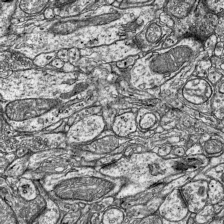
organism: Mouse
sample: Visual Cortex